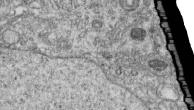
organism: Human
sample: HeLa cell HIV synapse